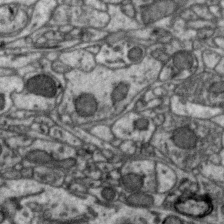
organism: Zebra finch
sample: Brain